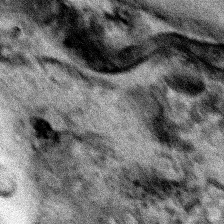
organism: Human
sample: Mitochondria in HCT116 cells